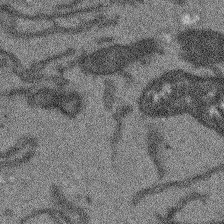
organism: Arabidopsis thaliana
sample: Root tip